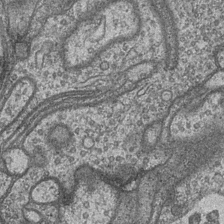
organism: Drosophila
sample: Optic medulla